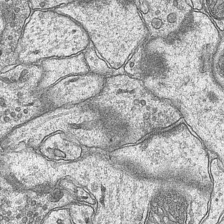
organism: Mouse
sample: CA1 Hippocampus